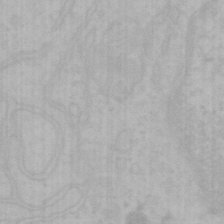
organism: Mouse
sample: Choroid plexus